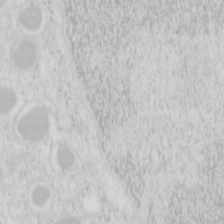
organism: Mouse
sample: Pancreas